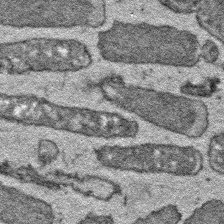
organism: E. coli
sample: E. Coli Bacteria